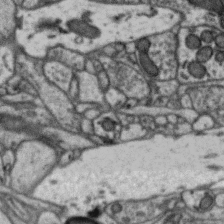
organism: Zebra finch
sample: Brain